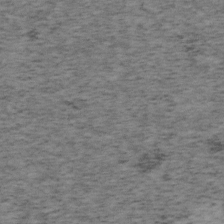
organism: Mouse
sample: OT-I killer T cells with ID8 ovarian cancer cells